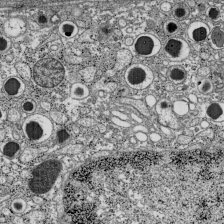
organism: C57BL Mouse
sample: Pancreatic islet